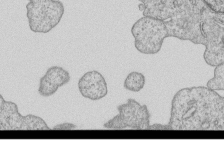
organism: Human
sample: MDA-MB-231 cells